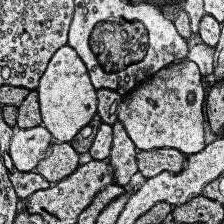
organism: Human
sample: Temporal Lobe